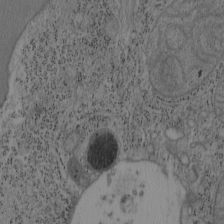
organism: Mouse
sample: OT-I killer T cells with ID8 ovarian cancer cells